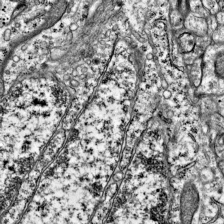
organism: Mouse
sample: Visual Cortex